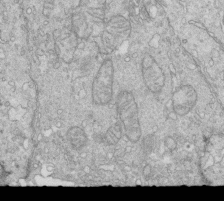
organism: Mouse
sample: Multiciliated cells